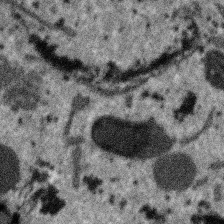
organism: Human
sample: Lung epithelial cells infected with SARS-CoV-2